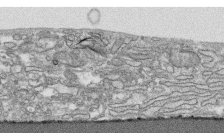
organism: Human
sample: CRL-1474